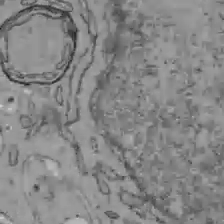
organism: C57BL Mouse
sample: Liver